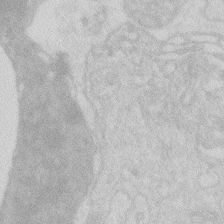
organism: Zebrafish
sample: Macrophage